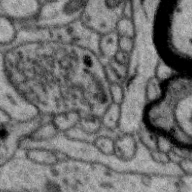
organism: Zebra finch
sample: Brain